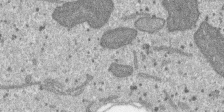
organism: Human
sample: Lung epithelial cells infected with SARS-CoV-2